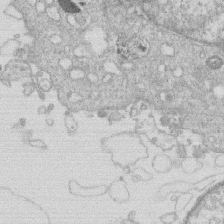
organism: Human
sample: Macrophage cells